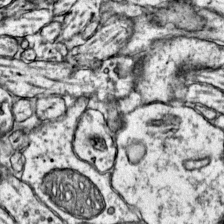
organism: Mouse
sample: Primary visual cortex